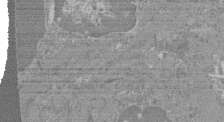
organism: Mouse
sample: Glomerulus